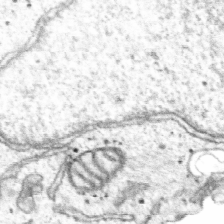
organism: Human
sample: HeLa cells